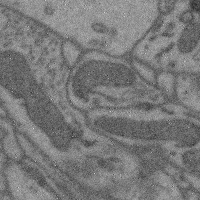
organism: Mouse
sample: Cerebral cortex